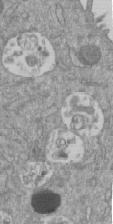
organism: Mouse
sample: ED-1 cell nuclei; centrioles